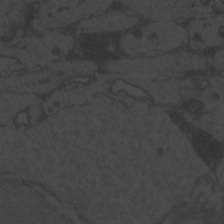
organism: Zebrafish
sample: Macrophage infected with Toxoplasma gondii